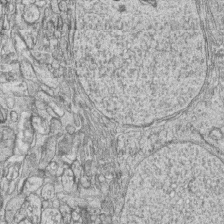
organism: Zebrafish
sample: synaptic ribbons in rod cells and cone cells